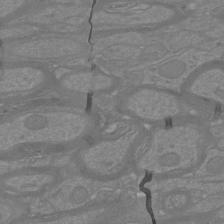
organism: Mouse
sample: Cortical neurons